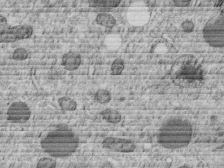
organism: C. elegans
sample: C. elegans embryo early stage